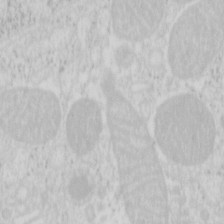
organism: Mouse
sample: Pancreas